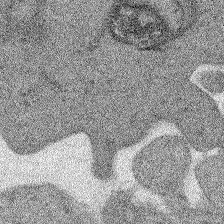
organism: Human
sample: HeLa cells